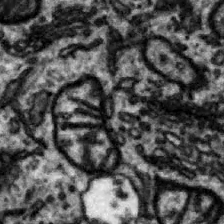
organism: Human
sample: HeLa cells